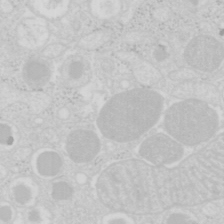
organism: Mouse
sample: Pancreas